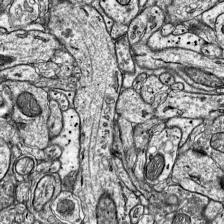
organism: Mouse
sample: Visual Cortex